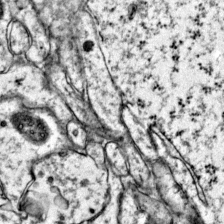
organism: Mouse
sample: Primary visual cortex